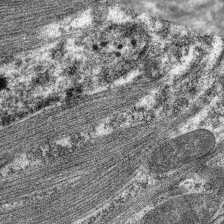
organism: C. elegans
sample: Pharynx